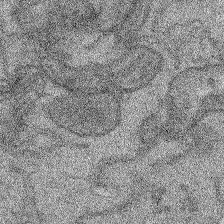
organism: Human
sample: HeLa cells